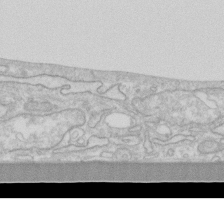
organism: Human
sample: Fibroblast cells